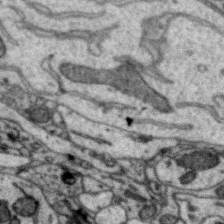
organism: Zebra finch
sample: Brain